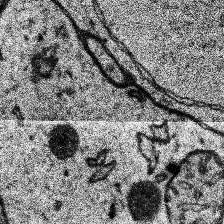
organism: Human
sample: Temporal Lobe